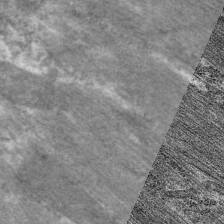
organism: C. elegans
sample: Pharynx